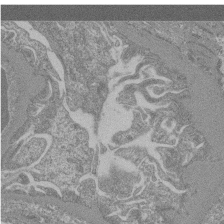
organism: Mouse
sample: Glomerulus